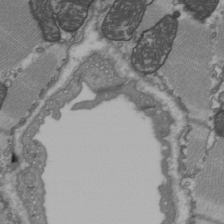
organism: C57BL Mouse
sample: Heart